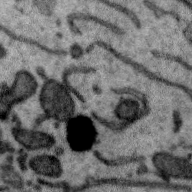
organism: Zebra finch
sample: Brain